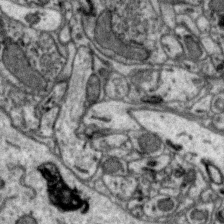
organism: Zebra finch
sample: Brain